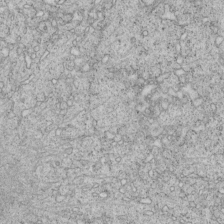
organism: C. elegans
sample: C. elegans embryo early stage